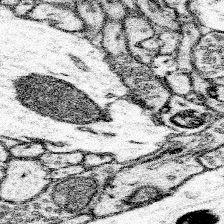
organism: Mouse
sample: Somatosensory cortex neuropil